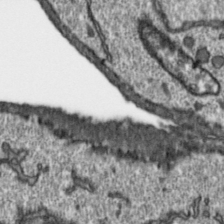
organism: Toxoplasma gondii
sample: Parasites in a vacuole inside a host cell